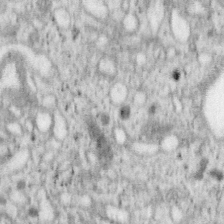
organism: Mouse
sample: OT-I killer T cells with ID8 ovarian cancer cells